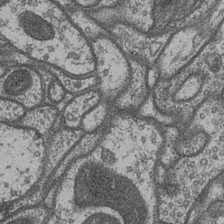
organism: Drosophila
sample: Optic medulla